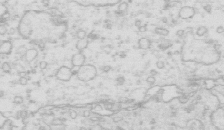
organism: Mouse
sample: Multiciliated cells